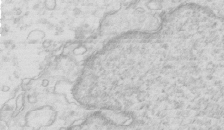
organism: Mouse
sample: Multiciliated cells